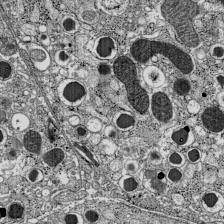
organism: C57BL Mouse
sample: Pancreatic islet